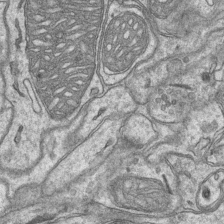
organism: Mouse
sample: CA1 Hippocampus